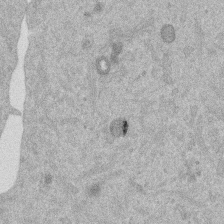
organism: Mouse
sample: Dividing mouse embryo 1 cell stage